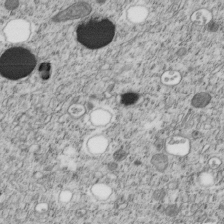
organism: C. elegans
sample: C. elegans embryo early stage